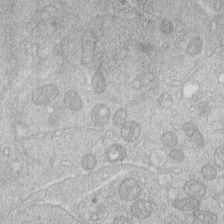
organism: Human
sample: Macrophage cells